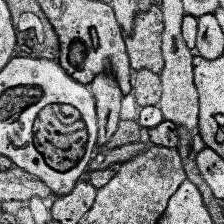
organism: Human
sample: Temporal Lobe